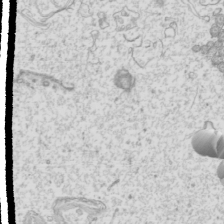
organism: Mouse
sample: Cilia; mouse epididymis